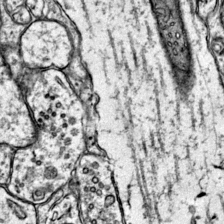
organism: Mouse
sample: Primary visual cortex